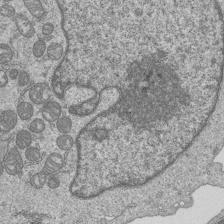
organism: Human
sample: MDA-MB-231 cells